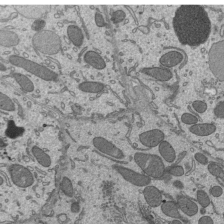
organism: Mouse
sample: Mouse epididymis efferent ductule cilia